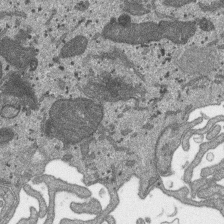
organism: Human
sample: Lung epithelial cells infected with SARS-CoV-2